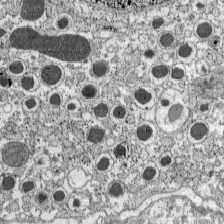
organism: C57BL Mouse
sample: Pancreatic islet